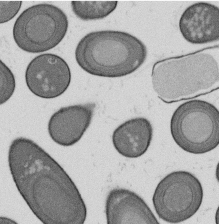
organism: B. subtilis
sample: Bacterial spore